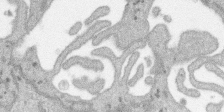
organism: Human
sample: Lung epithelial cells infected with SARS-CoV-2